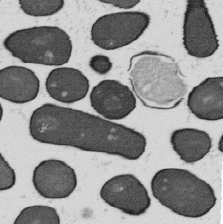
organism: B. subtilis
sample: Bacterial spore